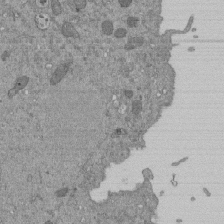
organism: Mouse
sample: ED-1 cell nuclei; centrioles